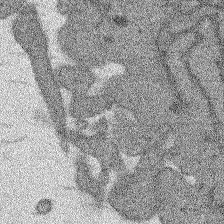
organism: Human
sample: HeLa cells